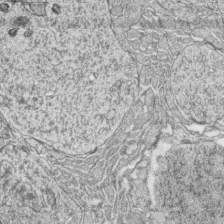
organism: Zebrafish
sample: synaptic ribbons in rod cells and cone cells